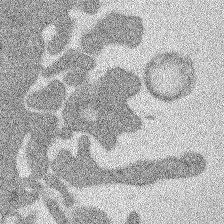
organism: Human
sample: HeLa cells